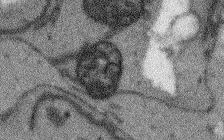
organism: Arabidopsis thaliana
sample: Root tip